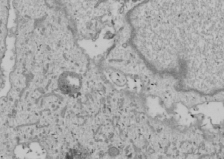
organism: Human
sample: Mitochondria in U2OS cells